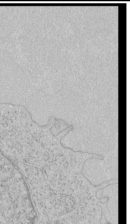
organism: Human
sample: Mitochondria in HCT116 cells